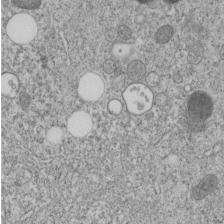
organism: C. elegans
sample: C. elegans embryo early stage